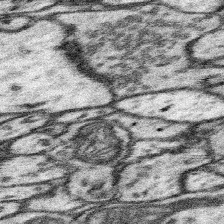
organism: Mouse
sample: Somatosensory cortex neuropil